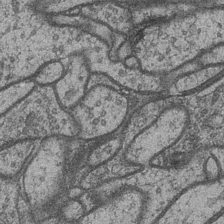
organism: Drosophila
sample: Optic medulla